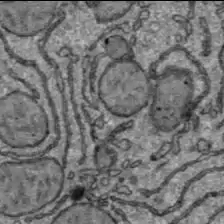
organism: C57BL Mouse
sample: Liver